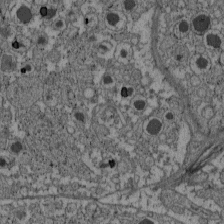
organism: C57BL Mouse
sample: Pancreatic islet